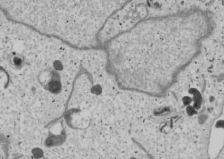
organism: Human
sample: Mitochondria in U2OS cells